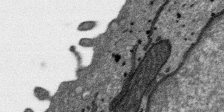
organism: Human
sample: Lung epithelial cells, uninfected (mock) control